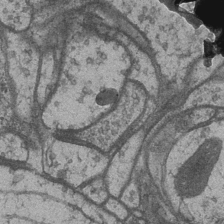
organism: Drosophila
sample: Optic medulla